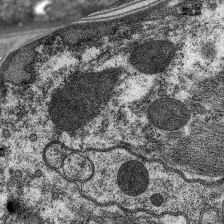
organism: C. elegans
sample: Pharynx